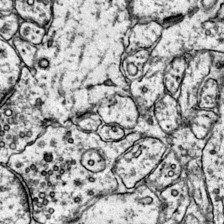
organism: Mouse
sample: Primary visual cortex